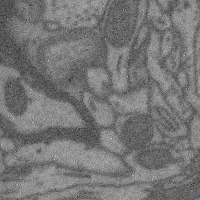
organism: Mouse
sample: Cerebral cortex